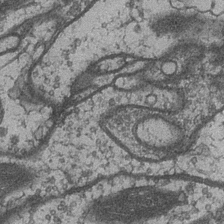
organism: Drosophila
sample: Optic medulla